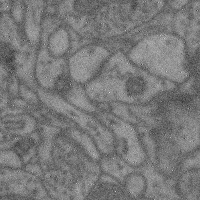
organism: Mouse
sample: Cerebral cortex